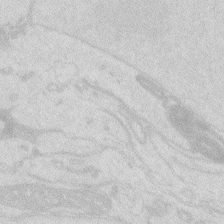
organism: Zebrafish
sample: Macrophage